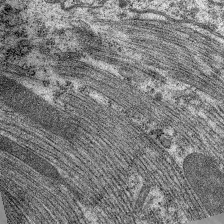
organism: C. elegans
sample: Pharynx